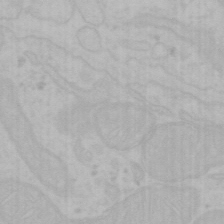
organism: Mouse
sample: Choroid plexus